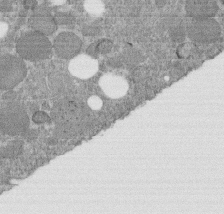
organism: C. elegans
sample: C. elegans embryo early stage